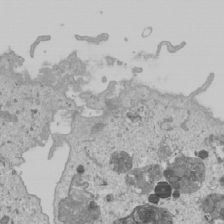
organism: Human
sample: Mitochondria in U2OS cells